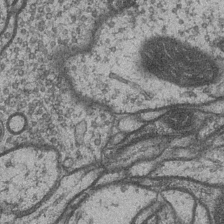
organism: Drosophila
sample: Optic medulla